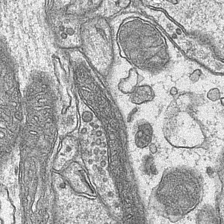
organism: Mouse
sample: CA1 Hippocampus